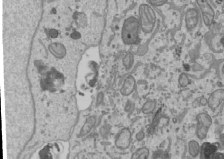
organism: Human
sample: Mitochondria in U2OS cells